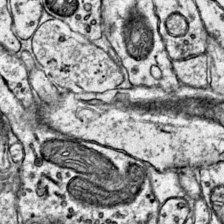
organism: Mouse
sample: Primary visual cortex